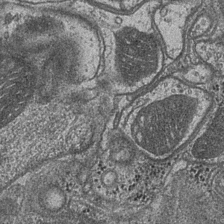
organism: Drosophila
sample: Optic medulla